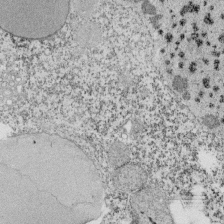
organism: Tetrahymena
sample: Cilia in tetrahymena